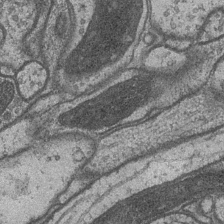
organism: Drosophila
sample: Optic medulla